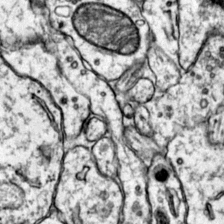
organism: Mouse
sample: Primary visual cortex